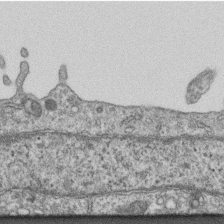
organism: Mouse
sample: Centriole in ependymal cells